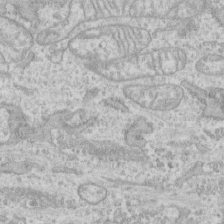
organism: Human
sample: CRL-1474